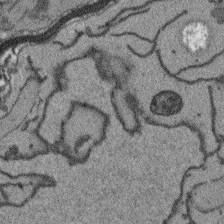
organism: Arabidopsis thaliana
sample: Root tip